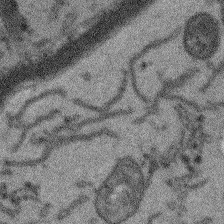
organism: Arabidopsis thaliana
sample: Root tip